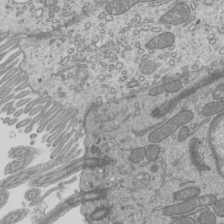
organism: Mouse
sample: Cilia; mouse epididymis